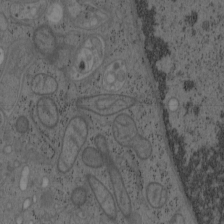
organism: Mouse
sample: OT-I killer T cells with ID8 ovarian cancer cells